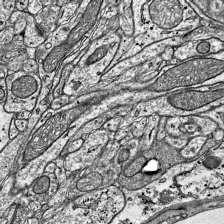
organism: Mouse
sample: Visual Cortex